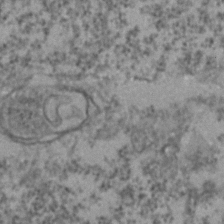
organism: Zebrafish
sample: Zebrafish embryo